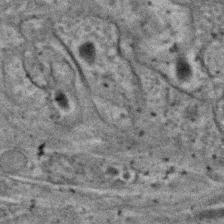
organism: C. elegans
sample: C. elegans embryo